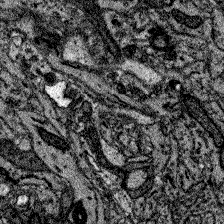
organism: Zebrafish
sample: Larval olfactory bulb